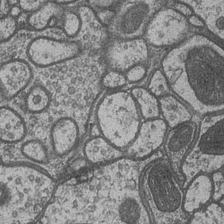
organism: Drosophila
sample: Optic medulla